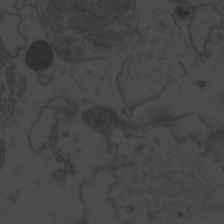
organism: Zebrafish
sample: Macrophage infected with Toxoplasma gondii